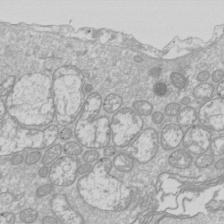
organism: Drosophila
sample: Cell division; meiosis; drosophila spermatocytes